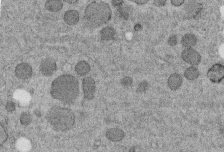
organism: C. elegans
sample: C. elegans embryo early stage